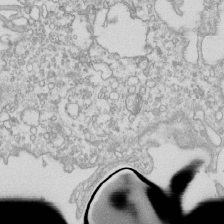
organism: Mouse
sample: Macrophages